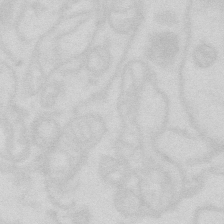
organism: Human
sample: HeLa cells